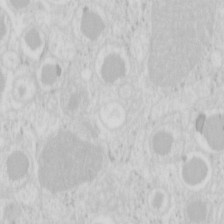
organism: Mouse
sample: Pancreas